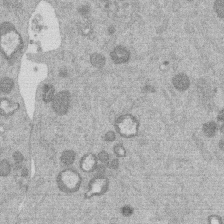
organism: Mouse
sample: Dividing mouse embryo 1 cell stage